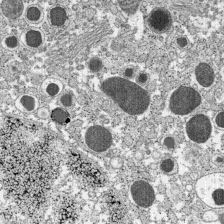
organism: C57BL Mouse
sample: Pancreatic islet